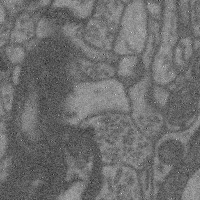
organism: Mouse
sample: Cerebral cortex